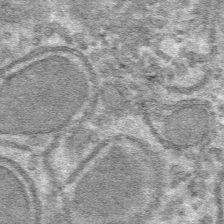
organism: Mouse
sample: Mouse hepatocytes